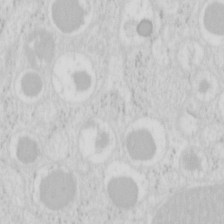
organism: Mouse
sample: Pancreas